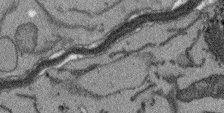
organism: Arabidopsis thaliana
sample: Root tip